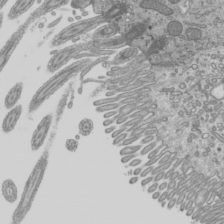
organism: Mouse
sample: Cilia; mouse epididymis